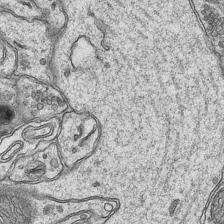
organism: Mouse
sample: CA1 Hippocampus